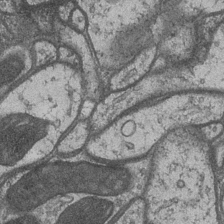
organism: Drosophila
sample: Optic medulla